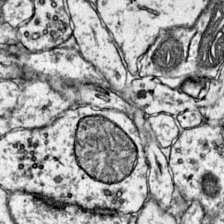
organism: Mouse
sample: Primary visual cortex